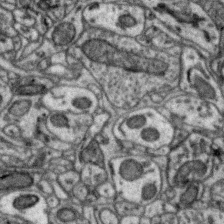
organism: Zebra finch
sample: Brain